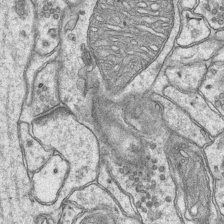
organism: Mouse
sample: CA1 Hippocampus